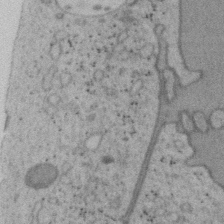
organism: Human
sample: HeLa cells